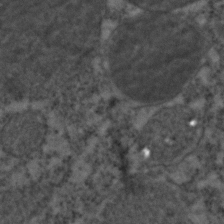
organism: C. elegans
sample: C. elegans embryo